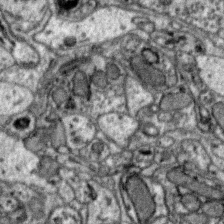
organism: Zebra finch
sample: Brain